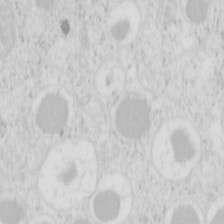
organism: Mouse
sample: Pancreas